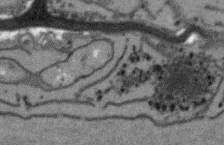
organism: Arabidopsis thaliana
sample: Root tip